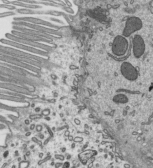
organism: Mouse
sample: Mouse epididymis efferent ductule cilia